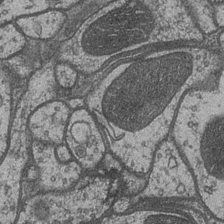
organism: Drosophila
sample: Optic medulla